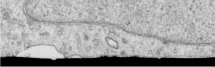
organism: Human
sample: Centriole in RPE cells